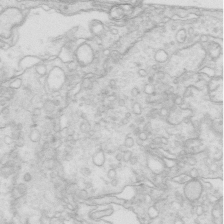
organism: Mouse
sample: Multiciliated cells